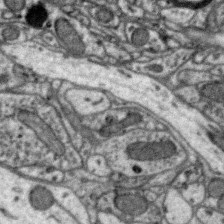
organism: Zebra finch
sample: Brain